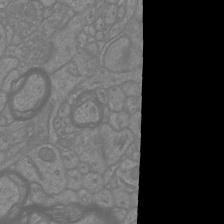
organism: Mouse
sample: Cortical neurons